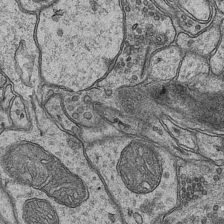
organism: Mouse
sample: CA1 Hippocampus